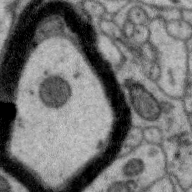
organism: Zebra finch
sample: Brain